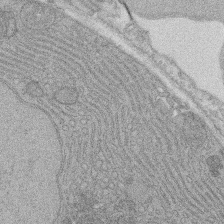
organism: Rat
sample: Salivary granule